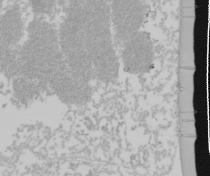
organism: Mouse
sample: Cancer cell death in ED-1 cells